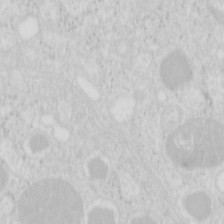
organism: Mouse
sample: Pancreas